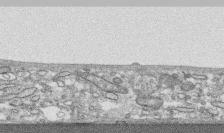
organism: Human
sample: CRL-1474